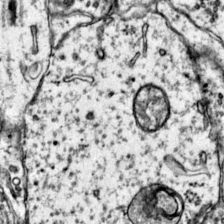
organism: Mouse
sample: Primary visual cortex